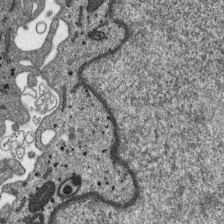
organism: Human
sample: Lung epithelial cells infected with SARS-CoV-2